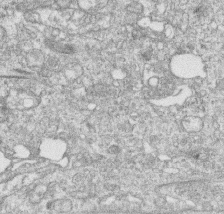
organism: Human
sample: HeLa cell HIV synapse